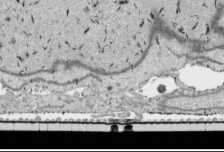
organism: Human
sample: Mitochondria in HCT116 cells